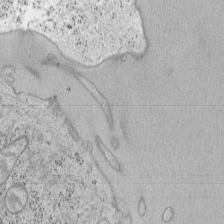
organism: Mouse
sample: OT-I killer T cells with ID8 ovarian cancer cells